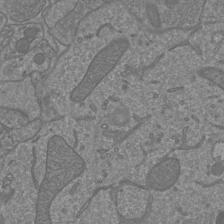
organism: Mouse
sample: Cortical neurons